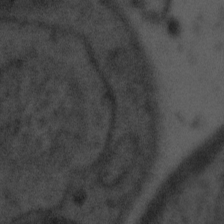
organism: Tuwongella immobilis